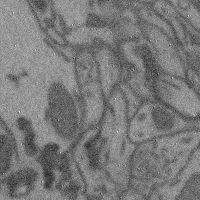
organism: Mouse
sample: Cerebral cortex